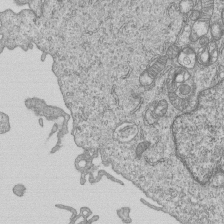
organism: Human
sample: MDA-MB-231 cells